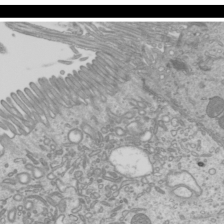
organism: Mouse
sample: Cilia; mouse epididymis